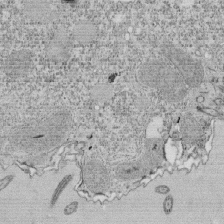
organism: Tetrahymena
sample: Cilia in tetrahymena